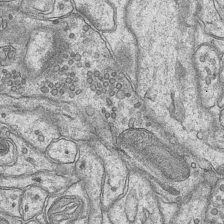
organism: Mouse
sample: CA1 Hippocampus